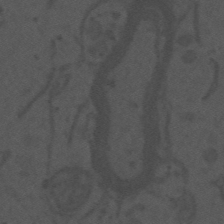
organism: Mouse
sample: Suprachiasmatic nucleus